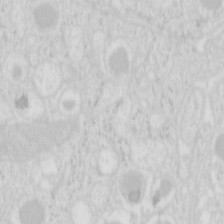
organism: Mouse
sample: Pancreas